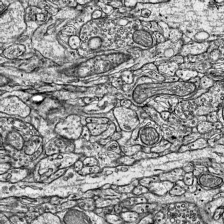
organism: Mouse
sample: Visual Cortex